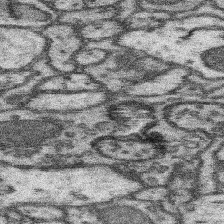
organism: Mouse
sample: Somatosensory cortex neuropil